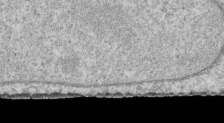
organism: Human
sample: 1205lu cells